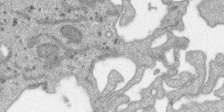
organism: Human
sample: Lung epithelial cells infected with SARS-CoV-2